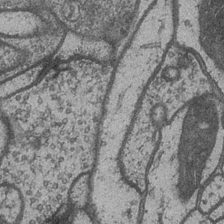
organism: Drosophila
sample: Optic medulla